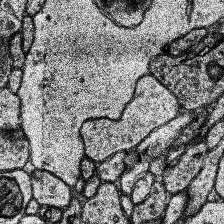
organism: Human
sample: Temporal Lobe